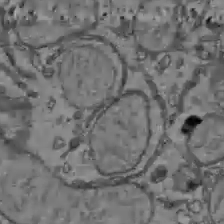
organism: C57BL Mouse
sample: Liver